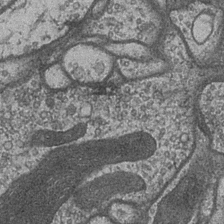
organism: Drosophila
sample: Optic medulla